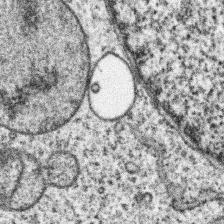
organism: Human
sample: HeLa cells